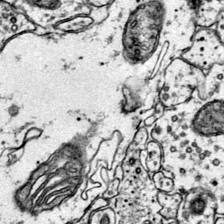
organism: Mouse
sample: Primary visual cortex